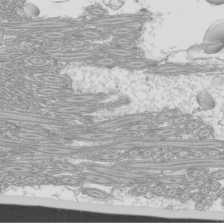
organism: Mouse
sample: Cilia; mouse epididymis